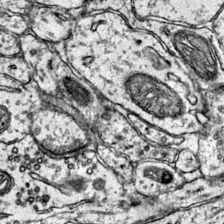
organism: Mouse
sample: Primary visual cortex